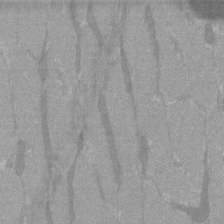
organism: C57BL Mouse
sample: Tibialis anterior muscle cell